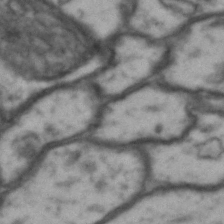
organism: Drosophila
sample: Brain